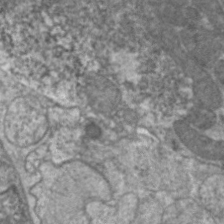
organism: C. elegans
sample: Pharynx